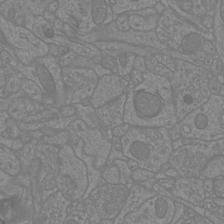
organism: Mouse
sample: Cortical neurons